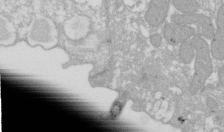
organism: Xenopus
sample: Cilia; centrioles in frog embryo cells